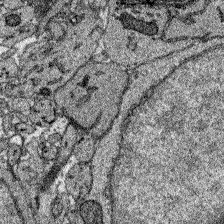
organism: Zebrafish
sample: Larval olfactory bulb